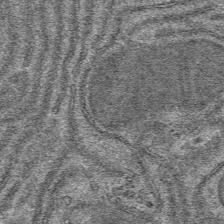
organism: Mouse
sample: Mouse hepatocytes